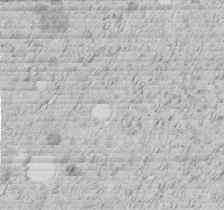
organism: C. elegans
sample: C. elegans embryo early stage